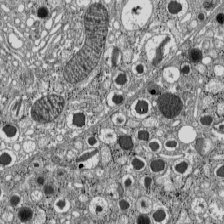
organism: C57BL Mouse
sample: Pancreatic islet